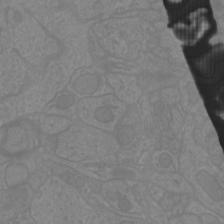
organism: Mouse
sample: Cortical neurons